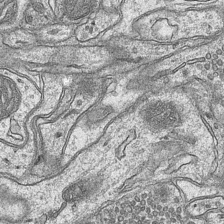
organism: Mouse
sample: CA1 Hippocampus